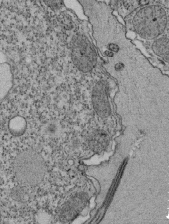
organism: Tetrahymena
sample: Cilia in tetrahymena